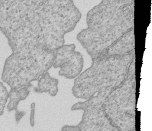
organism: Human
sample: MDA-MB-231 cells